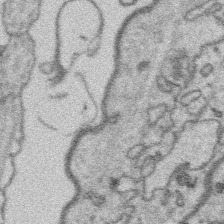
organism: Platynereis dumerilii